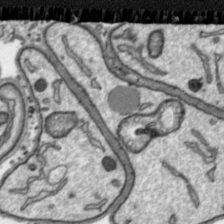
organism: Toxoplasma gondii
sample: Parasites in a vacuole inside a host cell